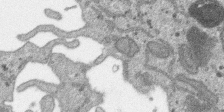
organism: Human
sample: Lung epithelial cells infected with SARS-CoV-2